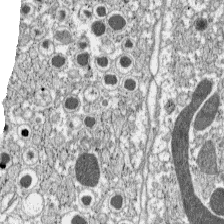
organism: C57BL Mouse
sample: Pancreatic islet